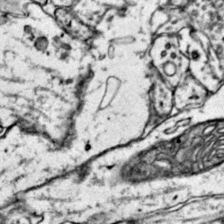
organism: Mouse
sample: Primary visual cortex